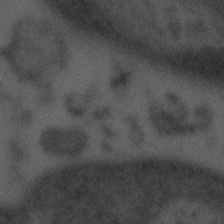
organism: Tuwongella immobilis